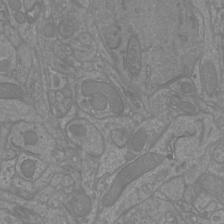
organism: Mouse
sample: Cortical neurons